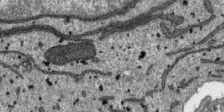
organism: Human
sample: Lung epithelial cells, uninfected (mock) control